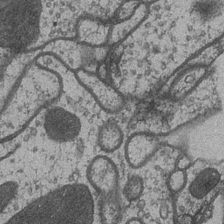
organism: Drosophila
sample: Optic medulla